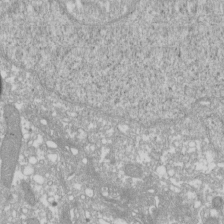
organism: Xenopus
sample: Cilia; centrioles in frog embryo cells